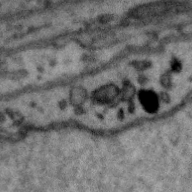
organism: Zebra finch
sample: Brain